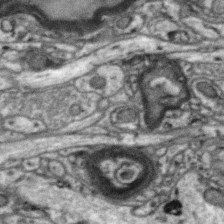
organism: Zebra finch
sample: Brain